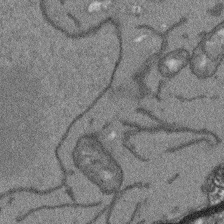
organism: Arabidopsis thaliana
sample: Root tip